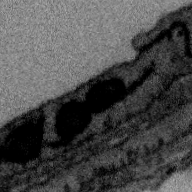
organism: Zebra finch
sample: Brain